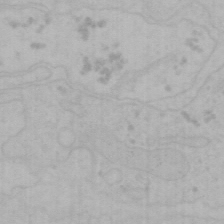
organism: Mouse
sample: Choroid plexus